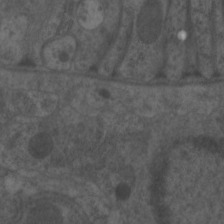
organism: C. elegans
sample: Pharynx